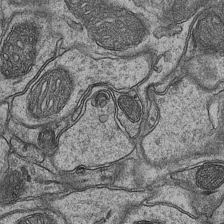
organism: Mouse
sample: CA1 Hippocampus